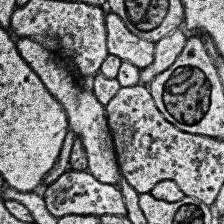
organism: Human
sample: Temporal Lobe